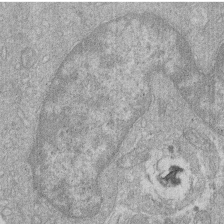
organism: Human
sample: Macrophage cells